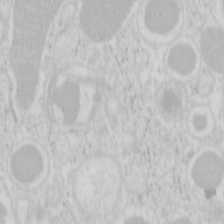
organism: Mouse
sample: Pancreas